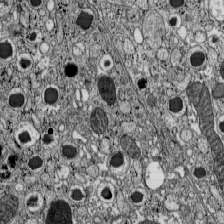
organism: C57BL Mouse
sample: Pancreatic islet